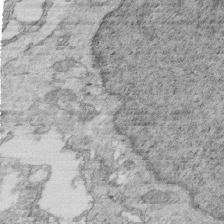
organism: Mouse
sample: Multiciliated cells